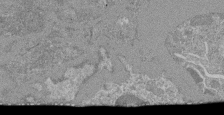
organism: Mouse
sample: Glomerulus